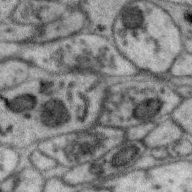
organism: Zebra finch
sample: Brain